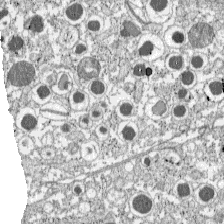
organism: C57BL Mouse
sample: Pancreatic islet